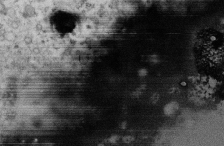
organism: Mouse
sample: Cilia; retinal pigment epithelium